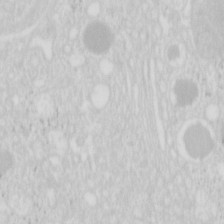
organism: Mouse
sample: Pancreas